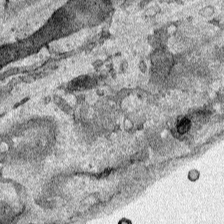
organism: Human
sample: Mitochondria in HCT116 cells